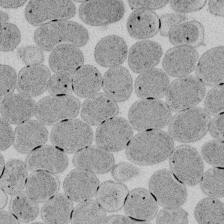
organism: E. coli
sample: Bacterial nucleoid